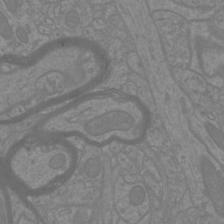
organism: Mouse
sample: Cortical neurons